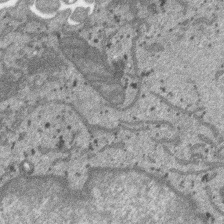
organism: Human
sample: Lung epithelial cells infected with SARS-CoV-2